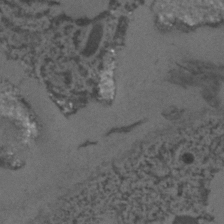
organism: C. elegans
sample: C. elegans embryo